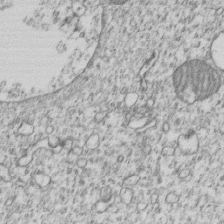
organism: Human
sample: MDA-MB-231 cells